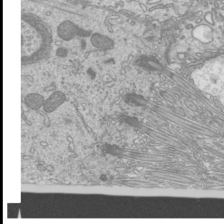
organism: Mouse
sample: Cilia; mouse epididymis